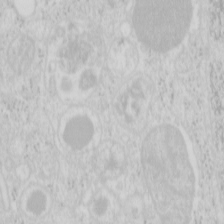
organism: Mouse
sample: Pancreas